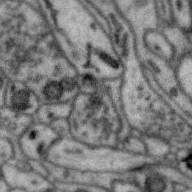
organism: Zebra finch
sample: Brain